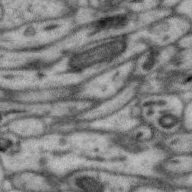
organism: Zebra finch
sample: Brain